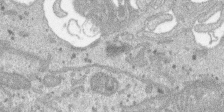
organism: Human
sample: Lung epithelial cells infected with SARS-CoV-2